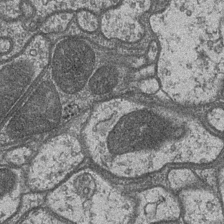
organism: Drosophila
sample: Optic medulla